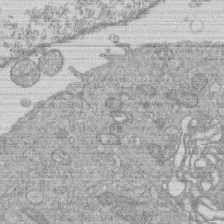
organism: Human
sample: Macrophage cells